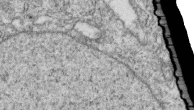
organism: Human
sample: HeLa cell HIV synapse